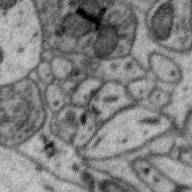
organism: Zebra finch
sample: Brain